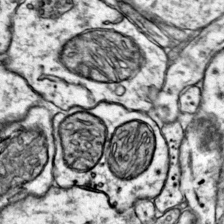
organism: Mouse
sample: Primary visual cortex